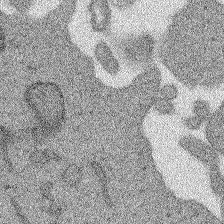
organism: Human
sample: HeLa cells